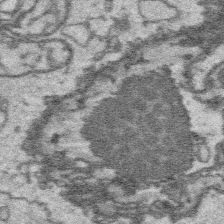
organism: Platynereis dumerilii